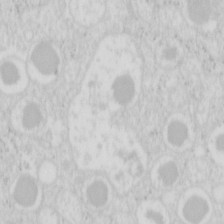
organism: Mouse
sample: Pancreas